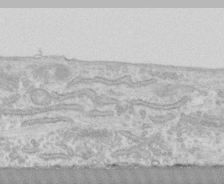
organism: Human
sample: CRL-1474